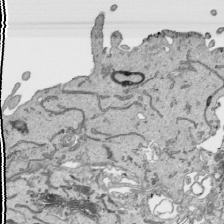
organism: Human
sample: Mitochondria in HCT116 cells